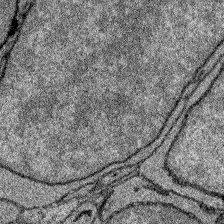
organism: Zebrafish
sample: Larval olfactory bulb